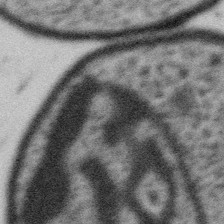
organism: Gemmata obscuriglobus